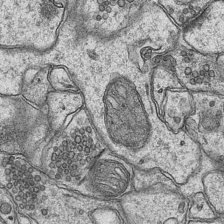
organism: Mouse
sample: CA1 Hippocampus